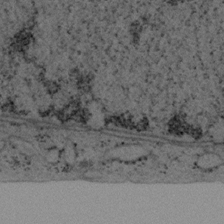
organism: Human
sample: HeLa cells